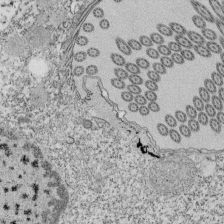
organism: Tetrahymena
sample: Cilia in tetrahymena